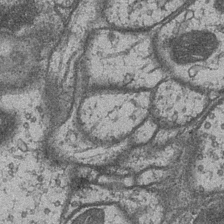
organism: Drosophila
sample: Optic medulla